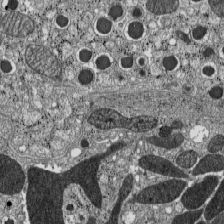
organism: C57BL Mouse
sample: Pancreatic islet